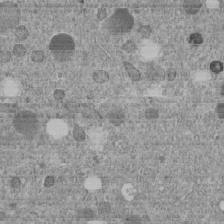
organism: C. elegans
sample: C. elegans embryo early stage